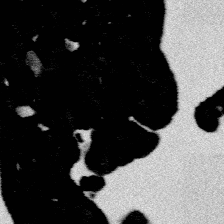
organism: Platynereis dumerilii